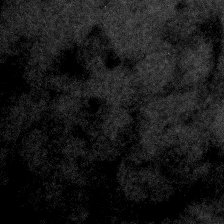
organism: Zebrafish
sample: Zebrafish embryo